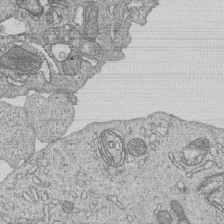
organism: Human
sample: MDA-MB-231 cells